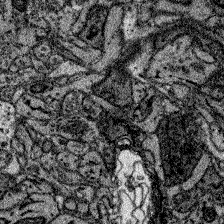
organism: Zebrafish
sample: Larval olfactory bulb